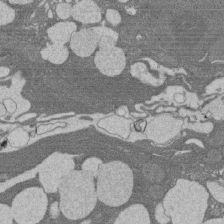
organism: Rat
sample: Salivary granule